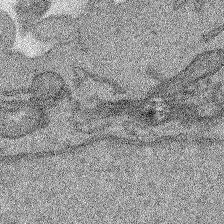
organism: Human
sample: HeLa cells